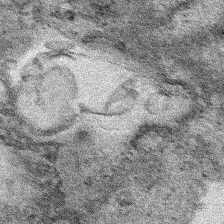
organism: Human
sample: Mitochondria in HCT116 cells